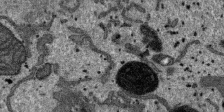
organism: Human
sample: Lung epithelial cells, uninfected (mock) control